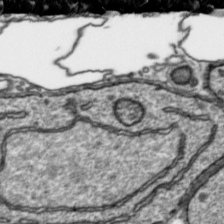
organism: Toxoplasma gondii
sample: Parasites in a vacuole inside a host cell